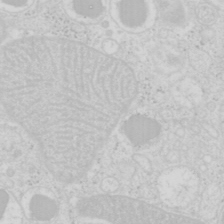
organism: Mouse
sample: Pancreas